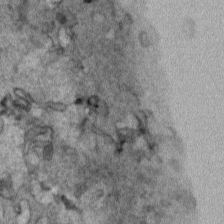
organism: Human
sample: Mitochondria in HCT116 cells